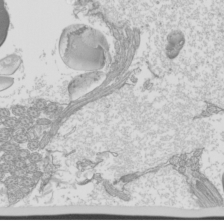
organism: Mouse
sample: Cilia; mouse epididymis